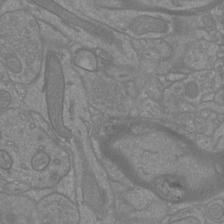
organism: Mouse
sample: Cortical neurons